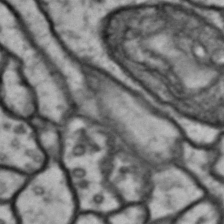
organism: Drosophila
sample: Brain